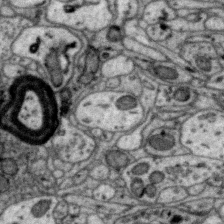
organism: Zebra finch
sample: Brain